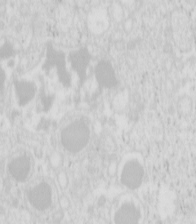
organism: Mouse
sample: Pancreas